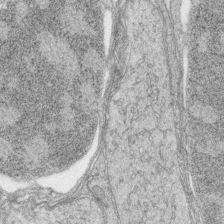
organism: Zebrafish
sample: synaptic ribbons in rod cells and cone cells